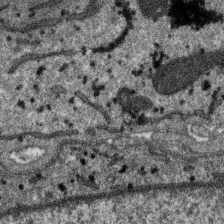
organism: Human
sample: Lung epithelial cells infected with SARS-CoV-2